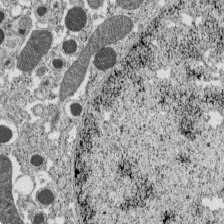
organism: C57BL Mouse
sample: Pancreatic islet